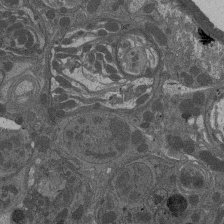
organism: Drosophila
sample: Antenna